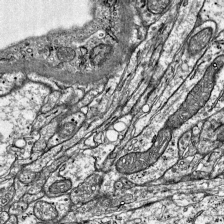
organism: Mouse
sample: Visual Cortex